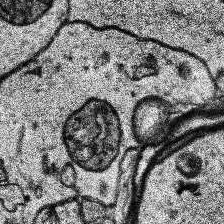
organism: Human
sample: Temporal Lobe